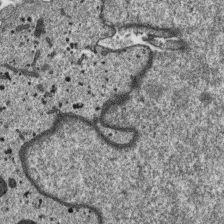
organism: Human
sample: Lung epithelial cells infected with SARS-CoV-2